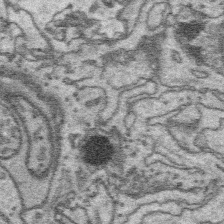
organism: Platynereis dumerilii